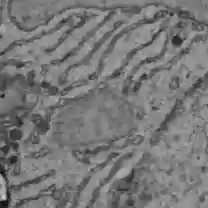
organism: C57BL Mouse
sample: Liver